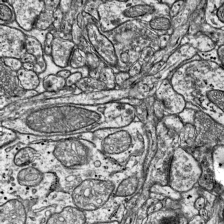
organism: Mouse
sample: Visual Cortex